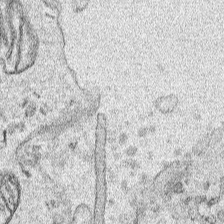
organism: Human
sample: Mitochondria in HCT116 cells